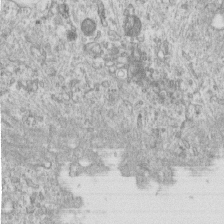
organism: Human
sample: Centriole in RPE cells